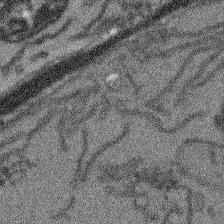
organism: Arabidopsis thaliana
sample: Root tip